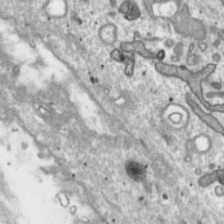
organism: Toxoplasma gondii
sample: Parasites in a vacuole inside a host cell